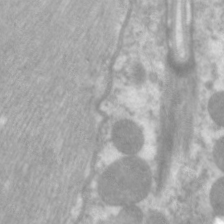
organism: C. elegans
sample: Pharynx